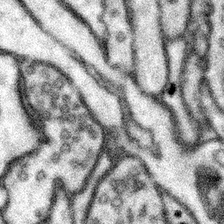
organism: Mouse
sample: Somatosensory cortex neuropil